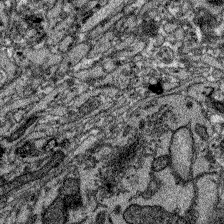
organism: Zebrafish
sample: Larval olfactory bulb